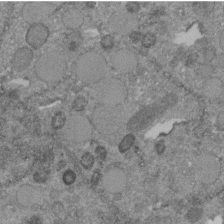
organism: C. elegans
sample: C. elegans embryo early stage